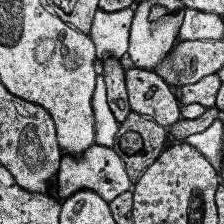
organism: Human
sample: Temporal Lobe